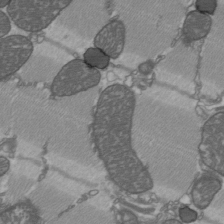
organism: C57BL Mouse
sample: Heart